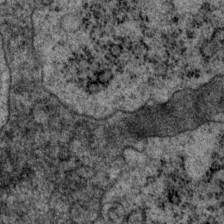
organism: P. pacificus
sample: Pharynx